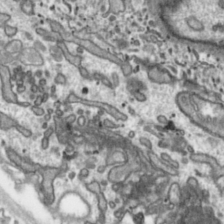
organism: Toxoplasma gondii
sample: Parasites in a vacuole inside a host cell